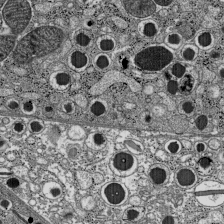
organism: C57BL Mouse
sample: Pancreatic islet